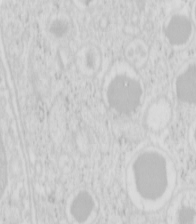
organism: Mouse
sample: Pancreas